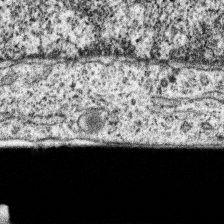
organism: Human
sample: HeLa cells